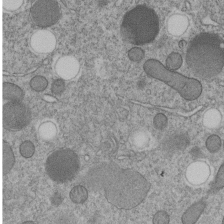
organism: C. elegans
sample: C. elegans embryo early stage